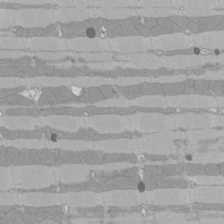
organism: Rat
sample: Left ventricle